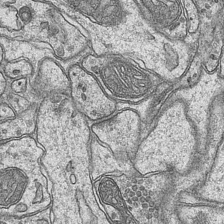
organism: Mouse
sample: CA1 Hippocampus